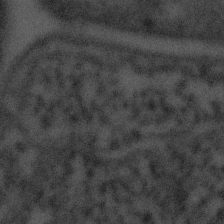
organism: Tuwongella immobilis